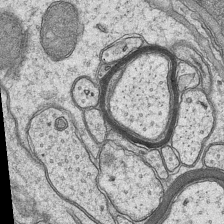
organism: Mouse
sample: CA1 Hippocampus